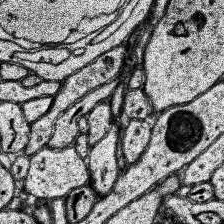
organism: Human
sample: Temporal Lobe